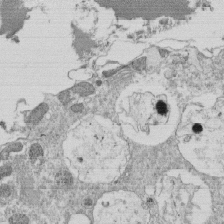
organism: Tetrahymena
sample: Cilia in tetrahymena